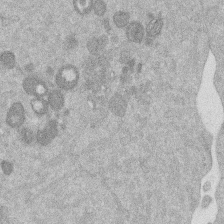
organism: Mouse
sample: Dividing mouse embryo 1 cell stage